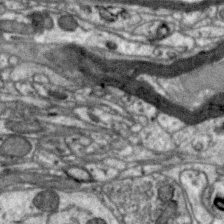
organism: Zebra finch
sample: Brain